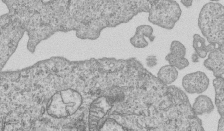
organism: Human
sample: MDA-MB-231 cells